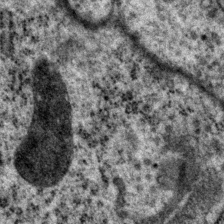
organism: P. pacificus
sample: Pharynx